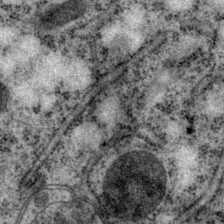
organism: P. pacificus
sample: Pharynx